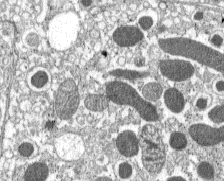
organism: C57BL Mouse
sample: Pancreatic islet